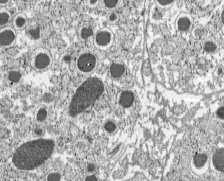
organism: C57BL Mouse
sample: Pancreatic islet